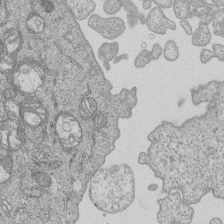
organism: Human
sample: MDA-MB-231 cells